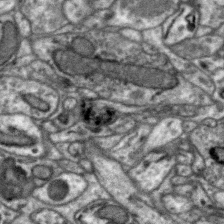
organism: Zebra finch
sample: Brain